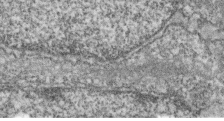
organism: Zebrafish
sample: Cilia; retinal pigment epithelium